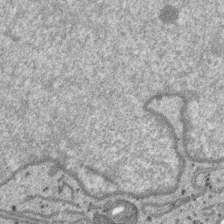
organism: Human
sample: Lung epithelial cells infected with SARS-CoV-2